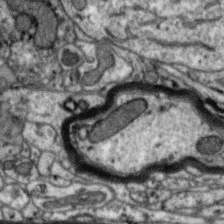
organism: Zebra finch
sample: Brain